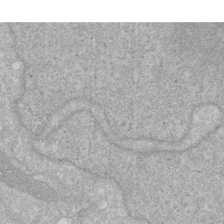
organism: Human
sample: HIV infected U937 cells